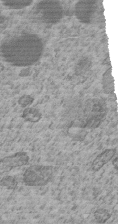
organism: C. elegans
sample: C. elegans embryo early stage